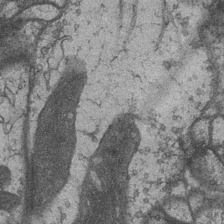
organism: Drosophila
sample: Optic medulla